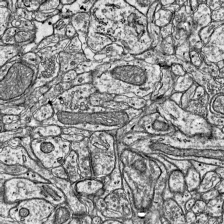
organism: Mouse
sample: Visual Cortex